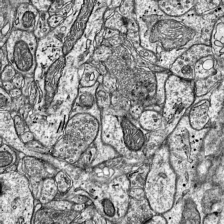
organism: Mouse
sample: Visual Cortex